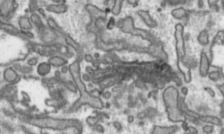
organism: Toxoplasma gondii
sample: Parasites in a vacuole inside a host cell